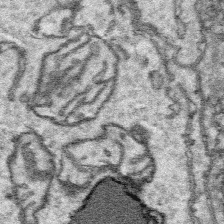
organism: Platynereis dumerilii